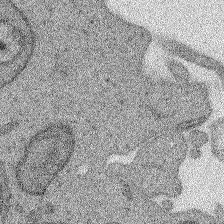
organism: Human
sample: HeLa cells